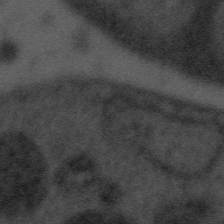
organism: Tuwongella immobilis